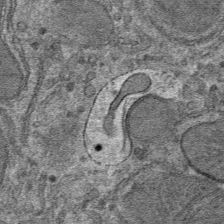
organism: Mouse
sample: Mouse hepatocytes